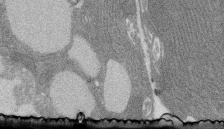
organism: Rat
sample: Salivary granule